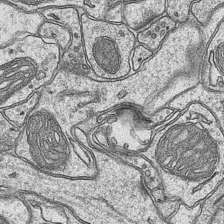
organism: Mouse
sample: CA1 Hippocampus